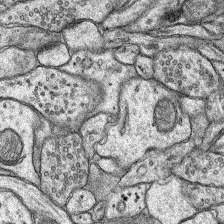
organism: Rat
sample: Hippocampus